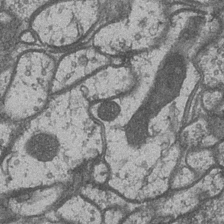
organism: Drosophila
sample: Optic medulla